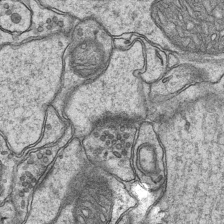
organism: Mouse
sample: CA1 Hippocampus